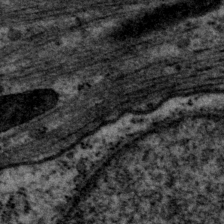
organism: P. pacificus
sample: Pharynx